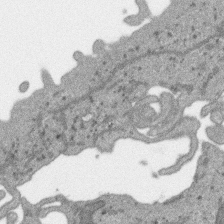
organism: Human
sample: Lung epithelial cells infected with SARS-CoV-2